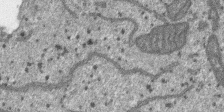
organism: Human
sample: Lung epithelial cells infected with SARS-CoV-2